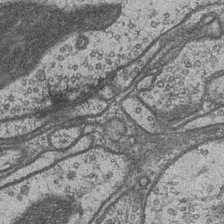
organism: Drosophila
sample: Optic medulla